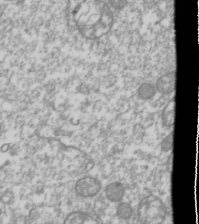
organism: Drosophila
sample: Cell division; meiosis; drosophila spermatocytes